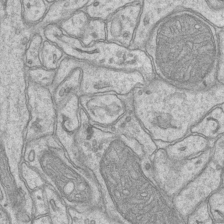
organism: Mouse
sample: CA1 Hippocampus